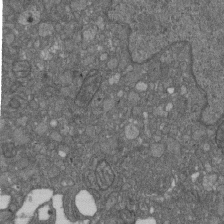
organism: Drosophila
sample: Nephrocyte